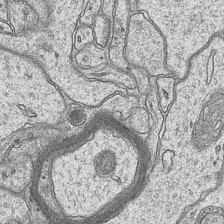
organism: Mouse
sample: CA1 Hippocampus